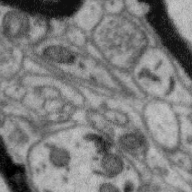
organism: Zebra finch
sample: Brain